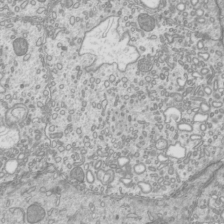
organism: Mouse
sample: Cilia; mouse epididymis